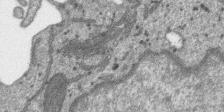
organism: Human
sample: Lung epithelial cells infected with SARS-CoV-2